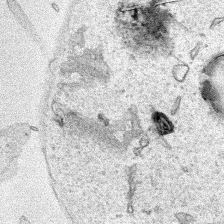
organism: Human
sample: Mitochondria in HCT116 cells